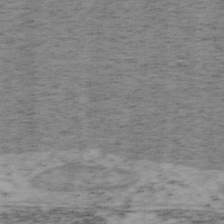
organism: Mouse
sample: OT-I killer T cells with ID8 ovarian cancer cells